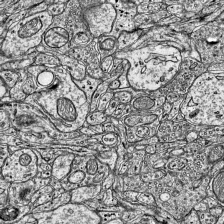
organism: Mouse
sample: Visual Cortex